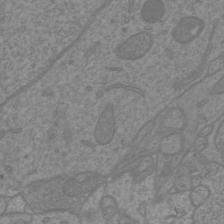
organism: Mouse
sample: Cortical neurons